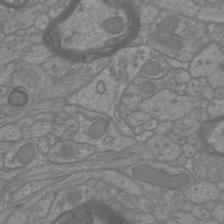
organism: Mouse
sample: Cortical neurons